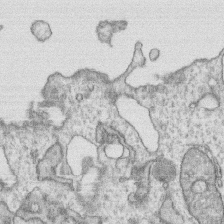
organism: Human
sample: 1205lu cells